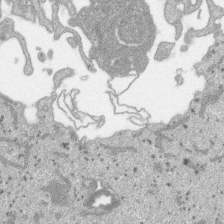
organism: Human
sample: Lung epithelial cells infected with SARS-CoV-2